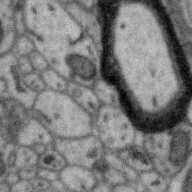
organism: Zebra finch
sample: Brain